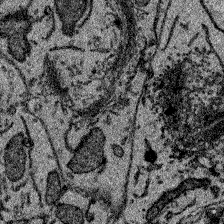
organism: Zebrafish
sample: Larval olfactory bulb